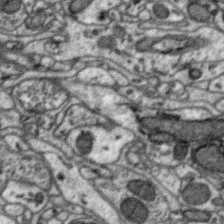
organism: Zebra finch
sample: Brain